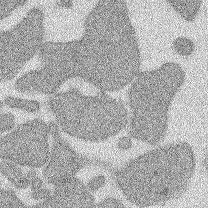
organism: Human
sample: HeLa cells